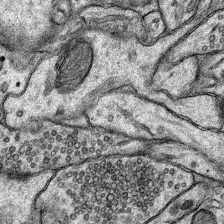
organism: Rat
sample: Hippocampus